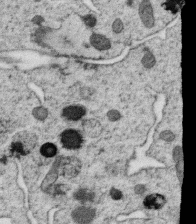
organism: C. elegans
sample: C. elegans oocyte; sperm cells